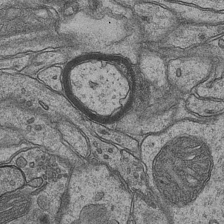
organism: Mouse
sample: CA1 Hippocampus